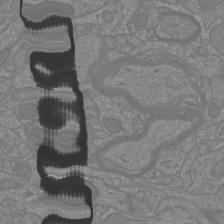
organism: Mouse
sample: Cortical neurons